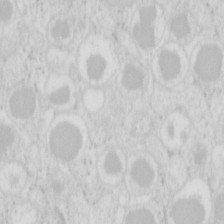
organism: Mouse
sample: Pancreas